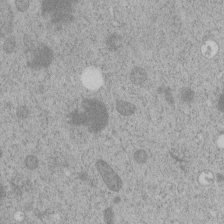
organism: C. elegans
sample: C. elegans embryo early stage